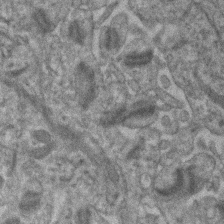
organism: Human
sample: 1205lu cells